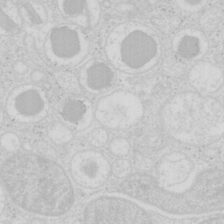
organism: Mouse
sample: Pancreas